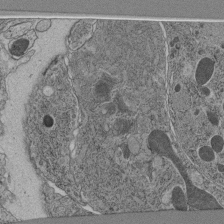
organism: C. elegans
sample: C. elegans pharynx